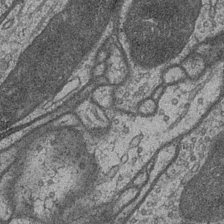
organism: Drosophila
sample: Optic medulla